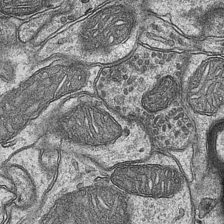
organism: Mouse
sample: CA1 Hippocampus